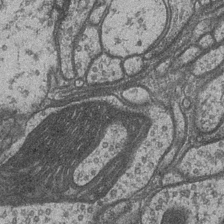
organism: Drosophila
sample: Optic medulla